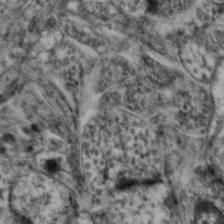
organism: Mouse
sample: Neocortex